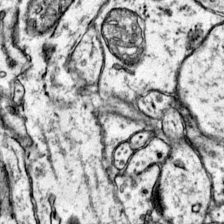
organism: Mouse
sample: Primary visual cortex